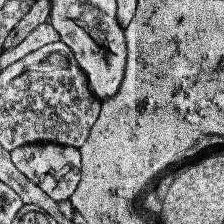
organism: Human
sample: Temporal Lobe